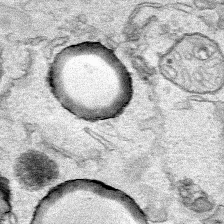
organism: Human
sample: Mitochondria in HCT116 cells